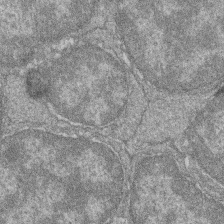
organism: Zebrafish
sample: Cilia; retinal pigment epithelium